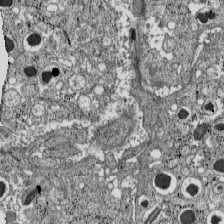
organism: C57BL Mouse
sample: Pancreatic islet